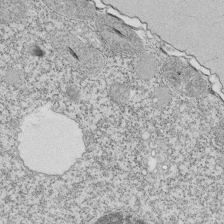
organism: Tetrahymena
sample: Cilia in tetrahymena